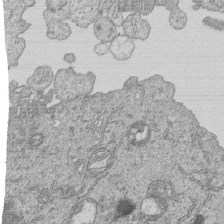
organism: Human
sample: MDA-MB-231 cells